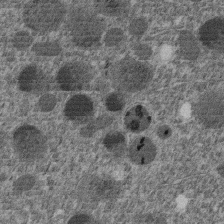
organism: C. elegans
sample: C. elegans embryo early stage